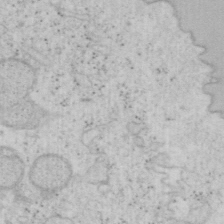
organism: Human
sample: HeLa cells